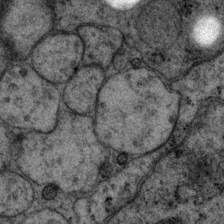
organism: P. pacificus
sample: Pharynx